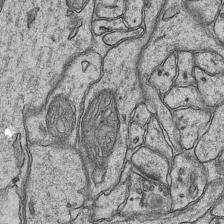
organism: Mouse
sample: CA1 Hippocampus